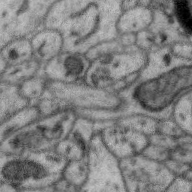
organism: Zebra finch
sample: Brain